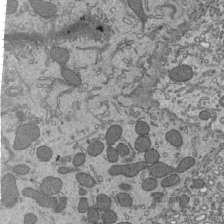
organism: Mouse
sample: Mouse epididymis efferent ductule cilia